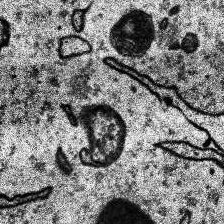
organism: Human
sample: Temporal Lobe